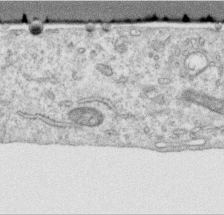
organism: Human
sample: Centriole in RPE cells